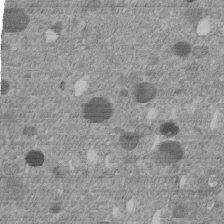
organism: C. elegans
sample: C. elegans embryo early stage